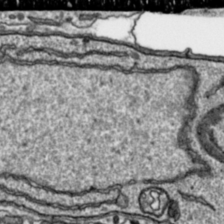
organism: Toxoplasma gondii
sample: Parasites in a vacuole inside a host cell